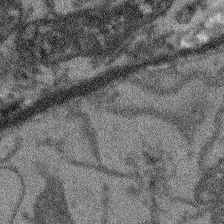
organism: Arabidopsis thaliana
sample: Root tip